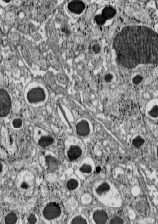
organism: C57BL Mouse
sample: Pancreatic islet